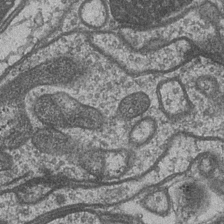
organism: Drosophila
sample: Optic medulla